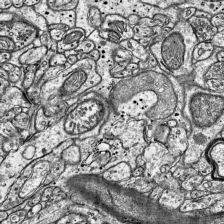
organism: Mouse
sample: Visual Cortex